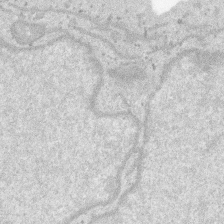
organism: Human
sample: Lung epithelial cells infected with SARS-CoV-2